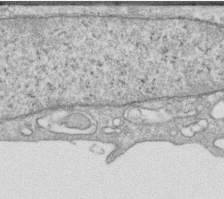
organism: Human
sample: Centriole in RPE cells